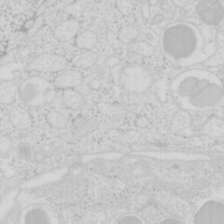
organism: Mouse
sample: Pancreas